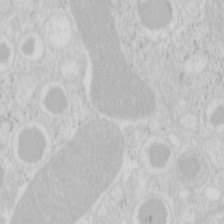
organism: Mouse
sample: Pancreas